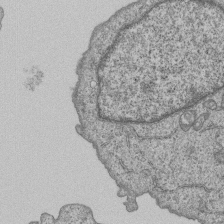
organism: Human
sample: MDA-MB-231 cells